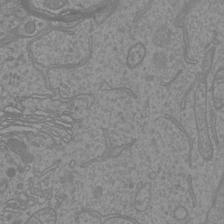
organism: Mouse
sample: Cortical neurons